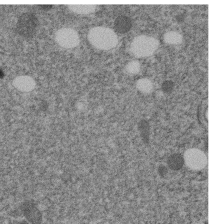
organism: C. elegans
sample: C. elegans embryo early stage